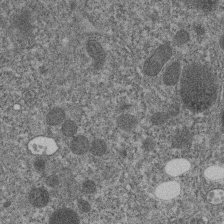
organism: C. elegans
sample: C. elegans embryo early stage